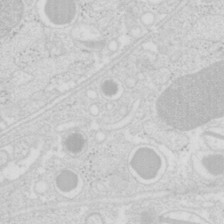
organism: Mouse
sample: Pancreas